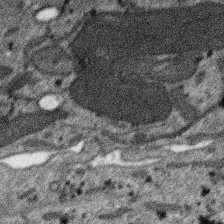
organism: Human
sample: Lung epithelial cells infected with SARS-CoV-2